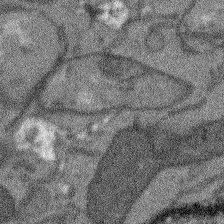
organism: Arabidopsis thaliana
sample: Root tip